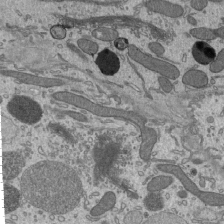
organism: Mouse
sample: Mouse epididymis efferent ductule cilia